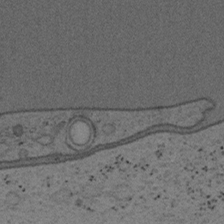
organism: Human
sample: HeLa cells